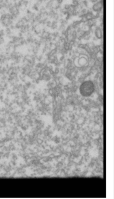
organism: Drosophila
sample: Cell division; meiosis; drosophila spermatocytes